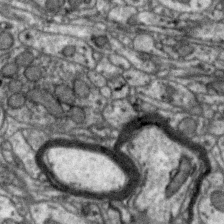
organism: Zebra finch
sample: Brain